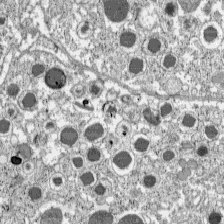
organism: C57BL Mouse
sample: Pancreatic islet